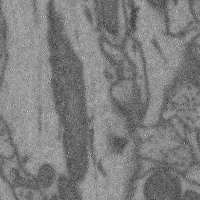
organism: Mouse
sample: Cerebral cortex